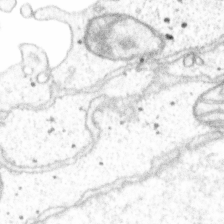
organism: Human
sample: HeLa cells